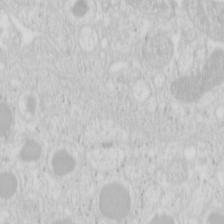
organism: Mouse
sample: Pancreas